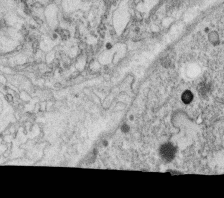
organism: C. elegans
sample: C. elegans oocyte; sperm cells